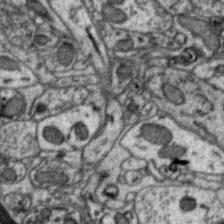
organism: Zebra finch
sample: Brain